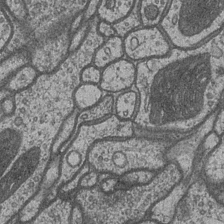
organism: Drosophila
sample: Optic medulla